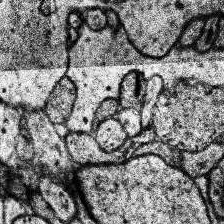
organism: Human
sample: Temporal Lobe